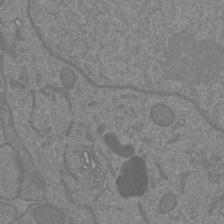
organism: Mouse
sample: Cortical neurons